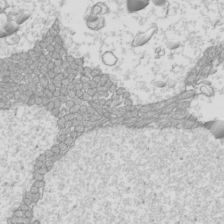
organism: Mouse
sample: Cilia; mouse epididymis